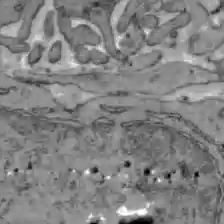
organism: C57BL Mouse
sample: Liver